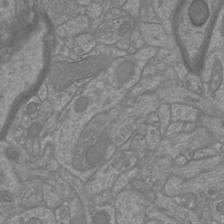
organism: Mouse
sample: Cortical neurons